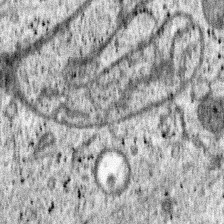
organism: Human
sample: HeLa cells